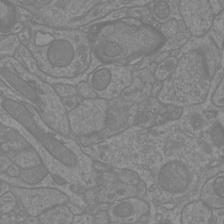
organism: Mouse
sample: Cortical neurons